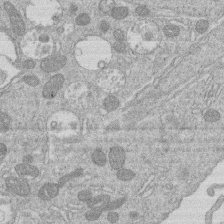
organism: Human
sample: Macrophage cells